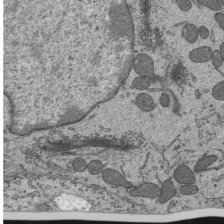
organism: Mouse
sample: Mouse epididymis efferent ductule cilia